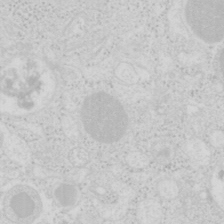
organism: Mouse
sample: Pancreas